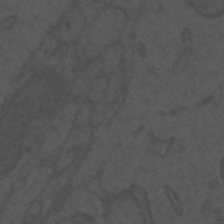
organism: Mouse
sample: Suprachiasmatic nucleus